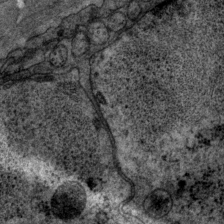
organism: P. pacificus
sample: Pharynx